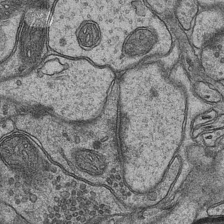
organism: Mouse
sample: CA1 Hippocampus